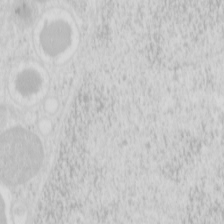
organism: Mouse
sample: Pancreas